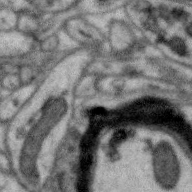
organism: Zebra finch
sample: Brain